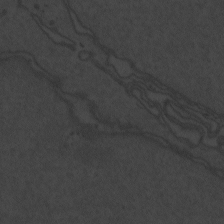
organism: Zebrafish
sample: Macrophage infected with Toxoplasma gondii